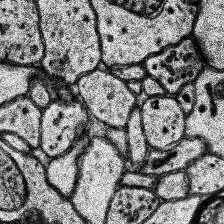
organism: Human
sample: Temporal Lobe